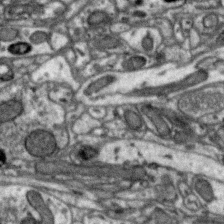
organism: Zebra finch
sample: Brain